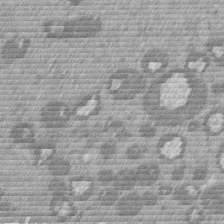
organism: Mouse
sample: Dividing mouse embryo 1 cell stage